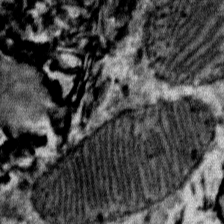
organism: Mouse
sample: Mouse Salivary gland